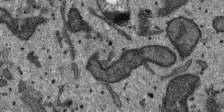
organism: Human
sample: Lung epithelial cells, uninfected (mock) control